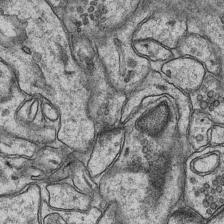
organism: Mouse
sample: CA1 Hippocampus